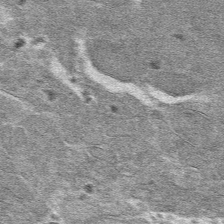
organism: Mouse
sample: Mouse hepatocytes